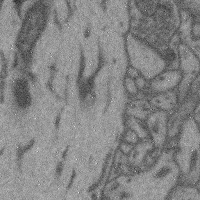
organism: Mouse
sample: Cerebral cortex